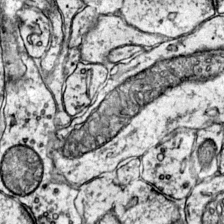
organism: Mouse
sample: Primary visual cortex